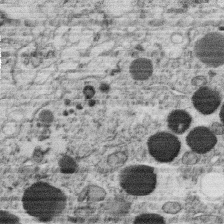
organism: C. elegans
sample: C. elegans oocyte; sperm cells